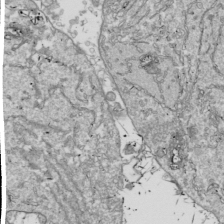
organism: Drosophila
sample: Cell division; meiosis; drosophila spermatocytes